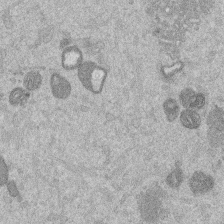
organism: Mouse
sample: Dividing mouse embryo 1 cell stage